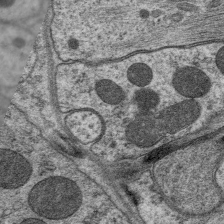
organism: C. elegans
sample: Pharynx